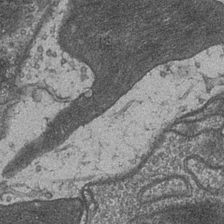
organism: Drosophila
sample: Optic medulla